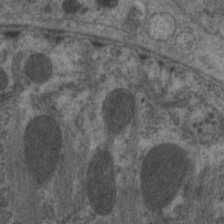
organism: C. elegans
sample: Pharynx